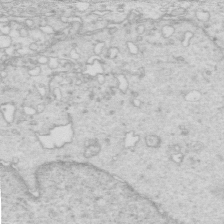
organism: Mouse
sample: Multiciliated cells